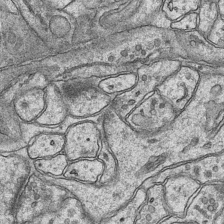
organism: Mouse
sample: CA1 Hippocampus